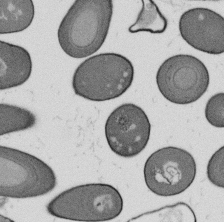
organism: B. subtilis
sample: Bacterial spore